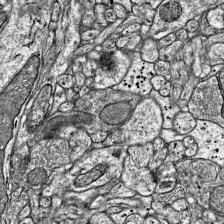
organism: Mouse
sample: Visual Cortex